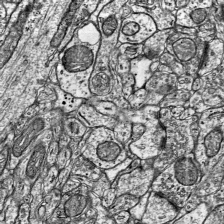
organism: Mouse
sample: Visual Cortex